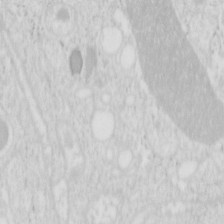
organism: Mouse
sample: Pancreas